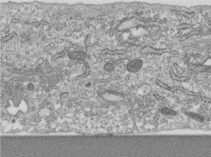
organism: Human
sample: Centriole in RPE cells